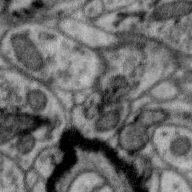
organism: Zebra finch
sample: Brain